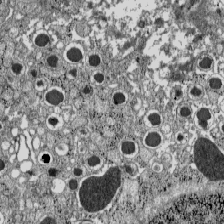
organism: C57BL Mouse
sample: Pancreatic islet